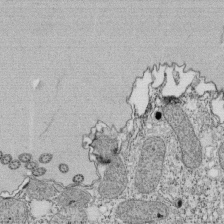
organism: Tetrahymena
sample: Cilia in tetrahymena